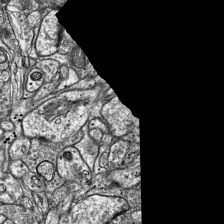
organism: Mouse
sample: Visual Cortex